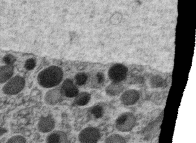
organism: C. elegans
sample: C. elegans oocyte; sperm cells